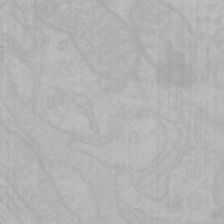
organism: Mouse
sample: Choroid plexus